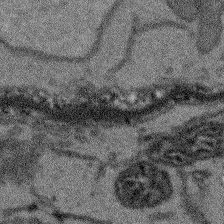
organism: Arabidopsis thaliana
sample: Root tip